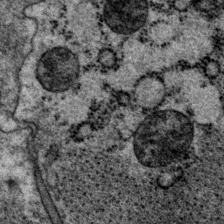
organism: P. pacificus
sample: Pharynx